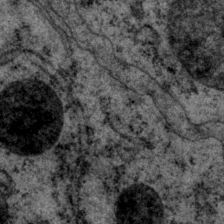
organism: P. pacificus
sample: Pharynx